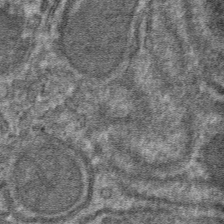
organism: Mouse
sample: Mouse hepatocytes